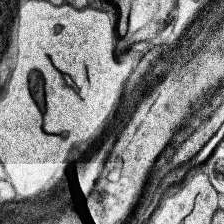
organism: Human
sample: Temporal Lobe